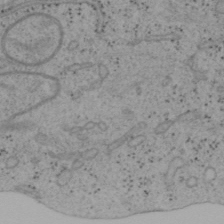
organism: Human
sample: HeLa cells